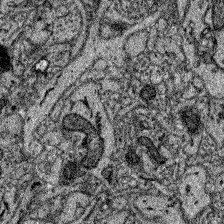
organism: Zebrafish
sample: Larval olfactory bulb